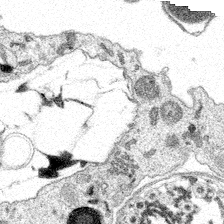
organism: Spongilla lacustris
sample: Multiple